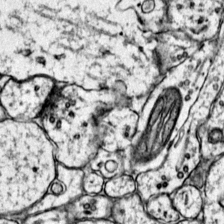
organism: Mouse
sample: Primary visual cortex